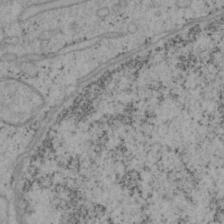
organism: Human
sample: HeLa cells